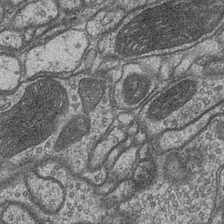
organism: Drosophila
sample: Optic medulla